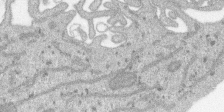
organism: Human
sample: Lung epithelial cells infected with SARS-CoV-2